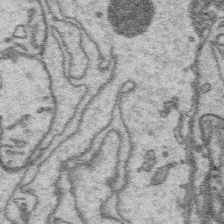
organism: Platynereis dumerilii